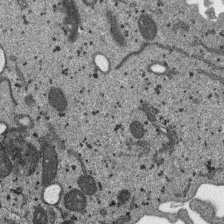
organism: Human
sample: Lung epithelial cells infected with SARS-CoV-2